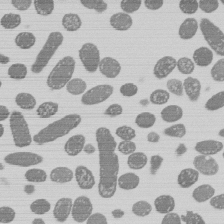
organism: E. coli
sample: Bacterial nucleoid